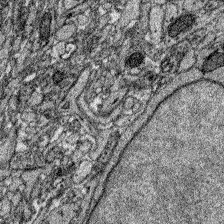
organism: Zebrafish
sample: Larval olfactory bulb